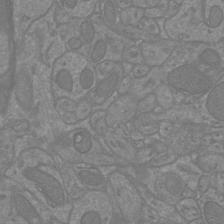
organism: Mouse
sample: Cortical neurons